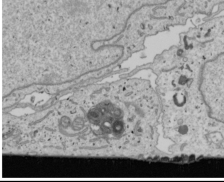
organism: Human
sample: Mitochondria in U2OS cells